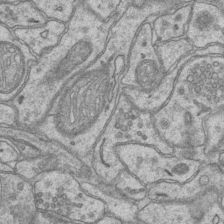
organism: Mouse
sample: CA1 Hippocampus